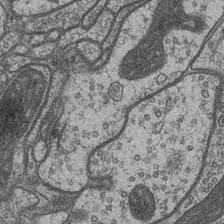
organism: Drosophila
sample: Optic medulla